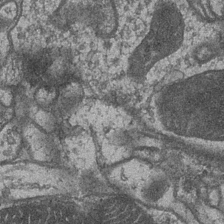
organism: Drosophila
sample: Optic medulla